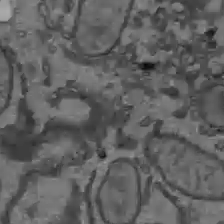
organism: C57BL Mouse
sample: Liver